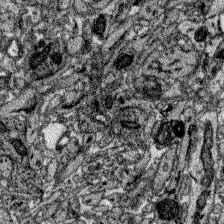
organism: Zebrafish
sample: Larval olfactory bulb